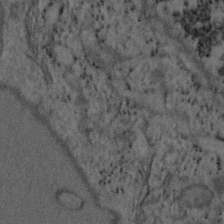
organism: Human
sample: HeLa cells